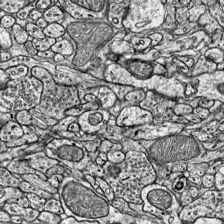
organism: Mouse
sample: Visual Cortex